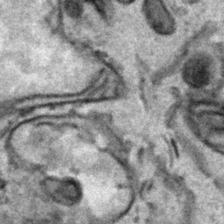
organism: Human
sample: Mitochondria in HCT116 cells